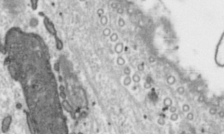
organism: Toxoplasma gondii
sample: Parasites in a vacuole inside a host cell